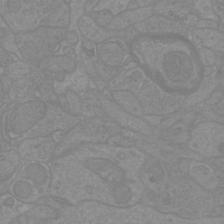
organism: Mouse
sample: Cortical neurons